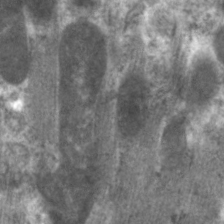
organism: C. elegans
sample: Pharynx